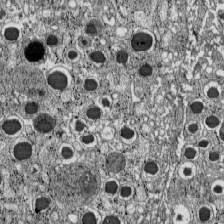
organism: C57BL Mouse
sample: Pancreatic islet